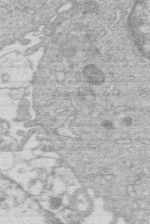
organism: Human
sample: Macrophage cells